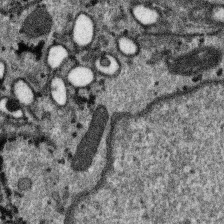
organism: Human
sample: Lung epithelial cells infected with SARS-CoV-2